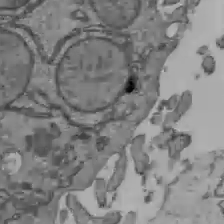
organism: C57BL Mouse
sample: Liver